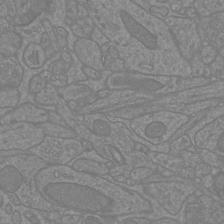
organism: Mouse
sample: Cortical neurons